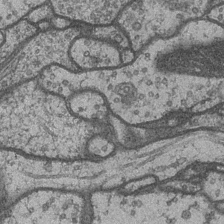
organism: Drosophila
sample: Optic medulla